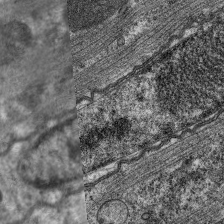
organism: C. elegans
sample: Pharynx